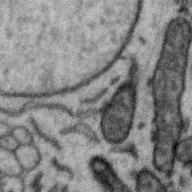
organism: Zebra finch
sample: Brain